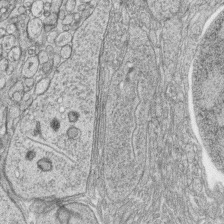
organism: Zebrafish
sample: synaptic ribbons in rod cells and cone cells